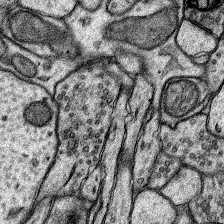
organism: Rat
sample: Hippocampus